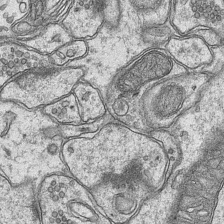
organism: Mouse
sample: CA1 Hippocampus